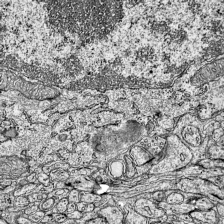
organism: Mouse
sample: Visual Cortex